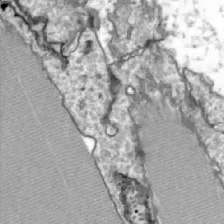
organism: Zebrafish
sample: Actinotrichia fibers